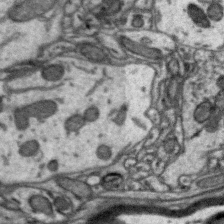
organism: Zebra finch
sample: Brain